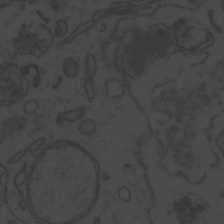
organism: Zebrafish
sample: Macrophage infected with Toxoplasma gondii